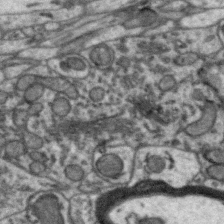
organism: Zebra finch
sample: Brain